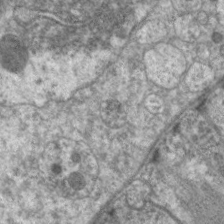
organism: C. elegans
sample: Pharynx